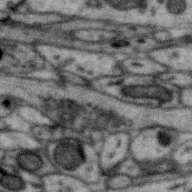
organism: Zebra finch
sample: Brain